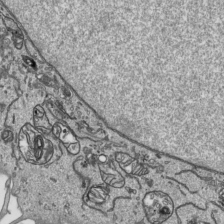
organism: Human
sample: Mitochondria in HCT116 cells